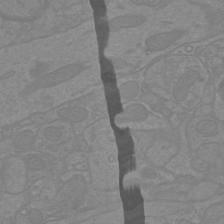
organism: Mouse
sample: Cortical neurons